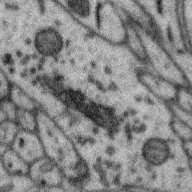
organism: Zebra finch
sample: Brain